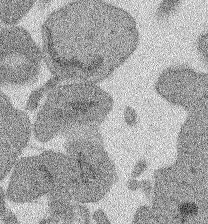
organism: Human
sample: HeLa cells